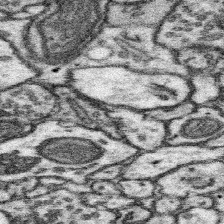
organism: Mouse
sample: Somatosensory cortex neuropil